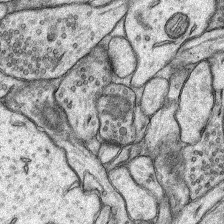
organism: Rat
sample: Hippocampus